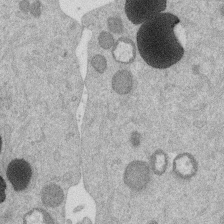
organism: Mouse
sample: Dividing mouse embryo 1 cell stage